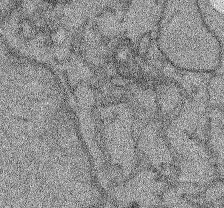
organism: Human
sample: HeLa cells